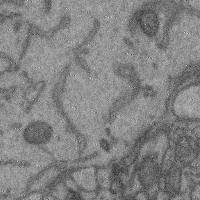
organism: Mouse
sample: Cerebral cortex